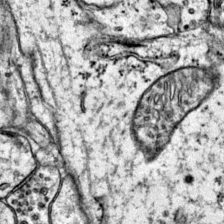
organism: Mouse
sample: Primary visual cortex